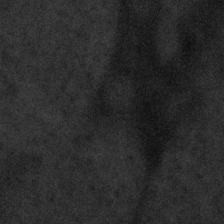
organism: Tuwongella immobilis